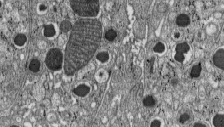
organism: C57BL Mouse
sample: Pancreatic islet